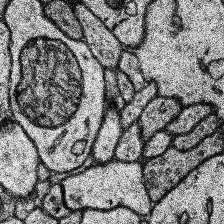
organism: Human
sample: Temporal Lobe